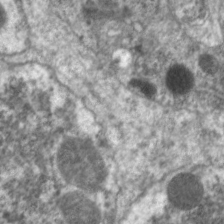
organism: C. elegans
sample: Pharynx